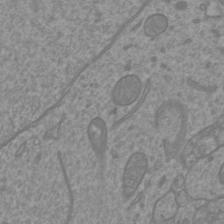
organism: Mouse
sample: Cortical neurons